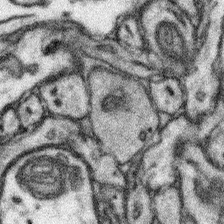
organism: Mouse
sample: Somatosensory cortex neuropil